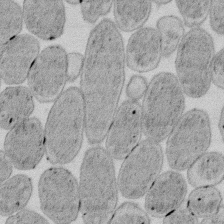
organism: E. coli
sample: Bacterial nucleoid